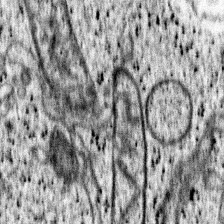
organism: Human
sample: HeLa cells